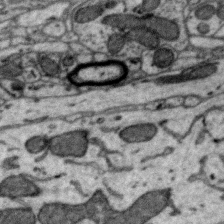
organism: Zebra finch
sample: Brain